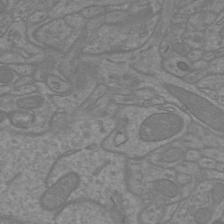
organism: Mouse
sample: Cortical neurons